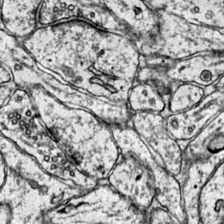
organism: Mouse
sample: Primary visual cortex